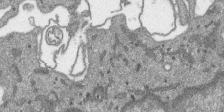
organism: Human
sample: Lung epithelial cells infected with SARS-CoV-2